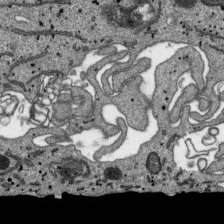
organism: Human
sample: Lung epithelial cells, uninfected (mock) control